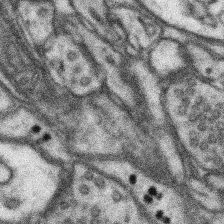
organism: Mouse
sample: Somatosensory cortex neuropil